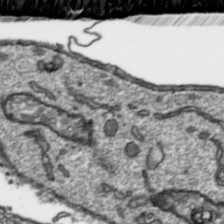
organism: Toxoplasma gondii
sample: Parasites in a vacuole inside a host cell